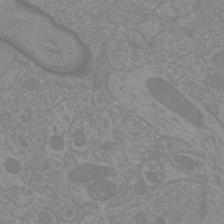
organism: Mouse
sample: Cortical neurons